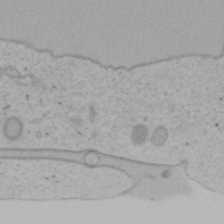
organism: Human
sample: HeLa cells